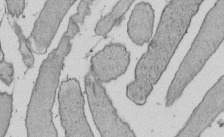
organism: E. coli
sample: Bacterial nucleoid